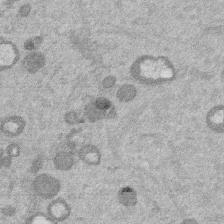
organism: Mouse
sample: Dividing mouse embryo 1 cell stage